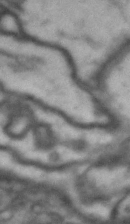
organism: Drosophila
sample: Brain